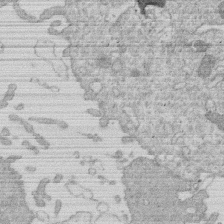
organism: Human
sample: Macrophage cells